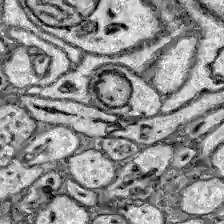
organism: Zebrafish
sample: Brain